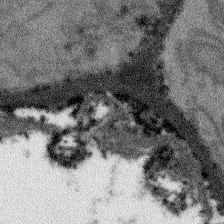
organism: Arabidopsis thaliana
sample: Root tip